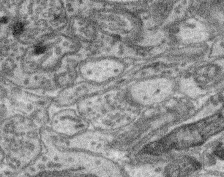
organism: Mouse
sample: Retina